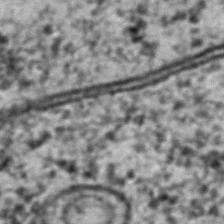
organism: C. elegans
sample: C. elegans embryo